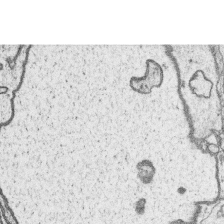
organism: Platynereis dumerilii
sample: Parapodia